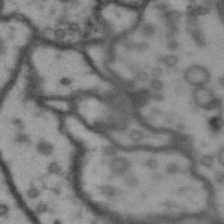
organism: Drosophila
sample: Brain